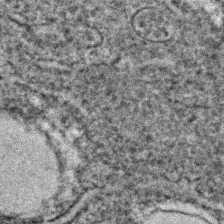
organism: C. elegans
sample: C. elegans embryo